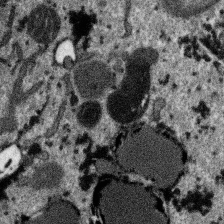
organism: Human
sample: Lung epithelial cells infected with SARS-CoV-2